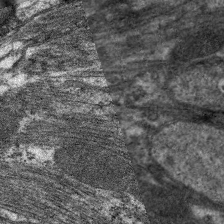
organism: C. elegans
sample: Pharynx